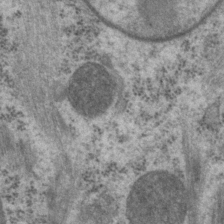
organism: P. pacificus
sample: Pharynx